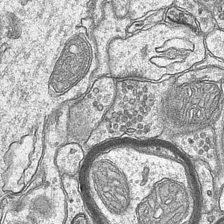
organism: Mouse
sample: CA1 Hippocampus